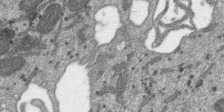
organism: Human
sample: Lung epithelial cells infected with SARS-CoV-2